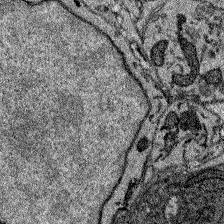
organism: Zebrafish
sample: Larval olfactory bulb